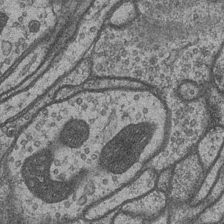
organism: Drosophila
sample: Optic medulla